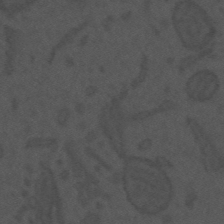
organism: Mouse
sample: Suprachiasmatic nucleus